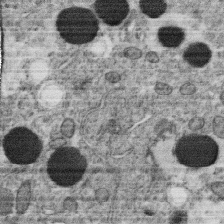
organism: C. elegans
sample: C. elegans oocyte; sperm cells